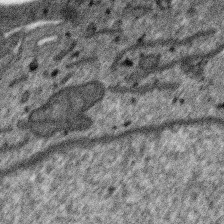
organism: Human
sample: Lung epithelial cells infected with SARS-CoV-2